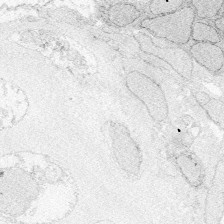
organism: Zebrafish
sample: Whole-Brain